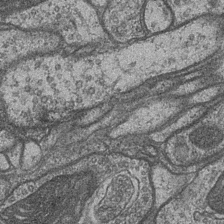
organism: Drosophila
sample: Optic medulla